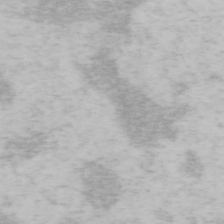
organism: Mouse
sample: OT-I killer T cells with ID8 ovarian cancer cells